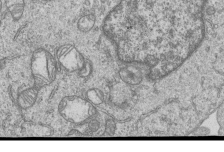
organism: Human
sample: MDA-MB-231 cells